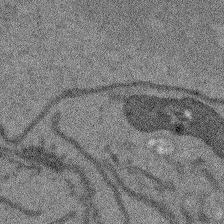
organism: Arabidopsis thaliana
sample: Root tip